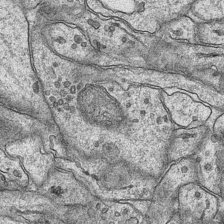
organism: Mouse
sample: CA1 Hippocampus